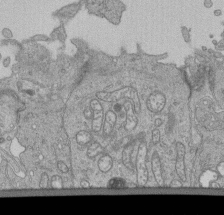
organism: Human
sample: Retinal organoid Rod and Cone cells